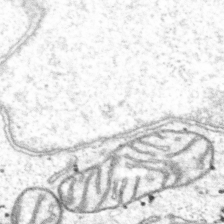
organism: Human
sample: HeLa cells